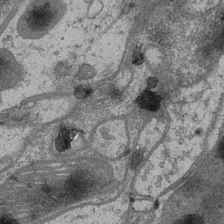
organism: Drosophila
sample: Optic medulla